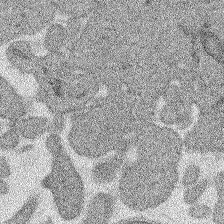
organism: Human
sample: HeLa cells